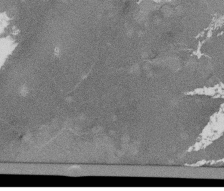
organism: Tetrahymena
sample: Cilia in tetrahymena